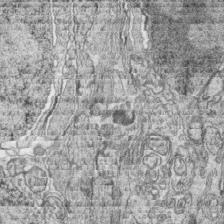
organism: Zebrafish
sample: synaptic ribbons in rod cells and cone cells